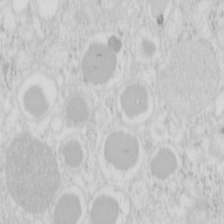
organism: Mouse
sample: Pancreas